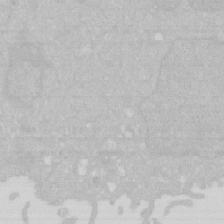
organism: Human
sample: HIV infected U937 cells